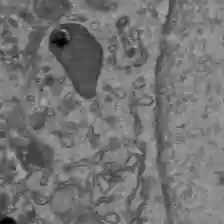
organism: C57BL Mouse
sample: Liver